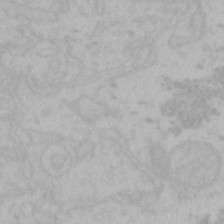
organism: Mouse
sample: Choroid plexus